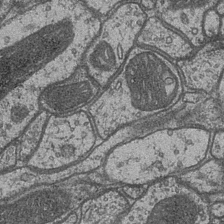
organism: Drosophila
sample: Optic medulla